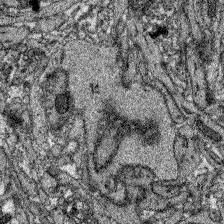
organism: Zebrafish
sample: Larval olfactory bulb